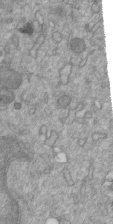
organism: Mouse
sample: ED-1 cell nuclei; centrioles